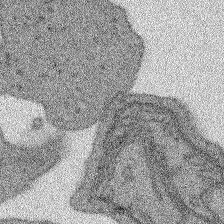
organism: Human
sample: HeLa cells